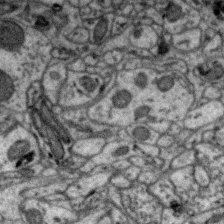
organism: Zebra finch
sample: Brain